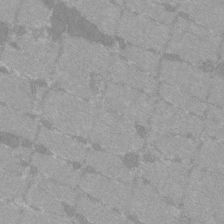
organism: C57BL Mouse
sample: Tibialis anterior muscle cell